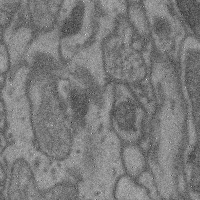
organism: Mouse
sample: Cerebral cortex